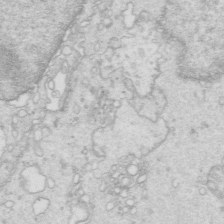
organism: Mouse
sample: Multiciliated cells